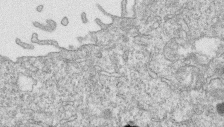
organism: Human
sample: HeLa cell HIV synapse